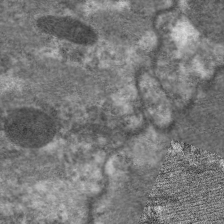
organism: C. elegans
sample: Pharynx